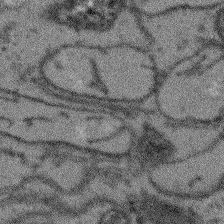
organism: Arabidopsis thaliana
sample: Root tip